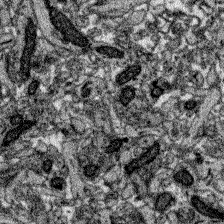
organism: Zebrafish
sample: Larval olfactory bulb